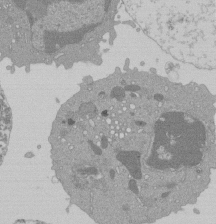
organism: Mouse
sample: Activated Pmel transgenic CD8+ T Cells